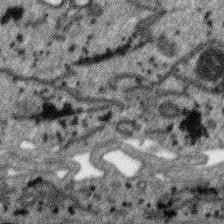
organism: Human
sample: Lung epithelial cells infected with SARS-CoV-2